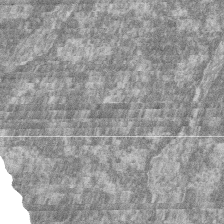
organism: Zebrafish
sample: Cilia; retinal pigment epithelium